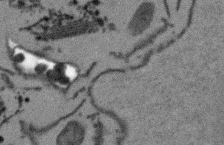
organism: Arabidopsis thaliana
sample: Root tip